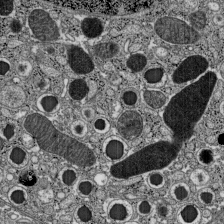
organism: C57BL Mouse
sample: Pancreatic islet